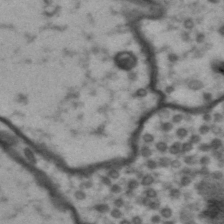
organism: Drosophila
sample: Brain